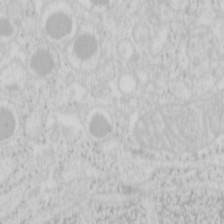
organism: Mouse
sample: Pancreas